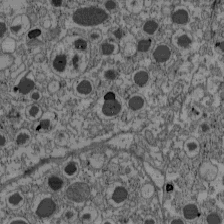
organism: C57BL Mouse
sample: Pancreatic islet